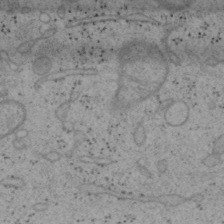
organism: Human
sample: HeLa cells